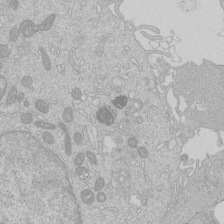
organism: Human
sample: Macrophage cells